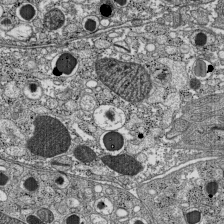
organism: C57BL Mouse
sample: Pancreatic islet